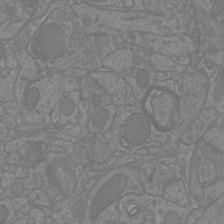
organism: Mouse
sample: Cortical neurons